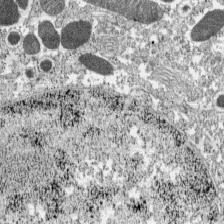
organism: C57BL Mouse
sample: Pancreatic islet